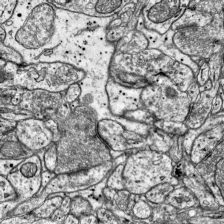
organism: Mouse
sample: Visual Cortex